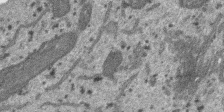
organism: Human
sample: Lung epithelial cells infected with SARS-CoV-2